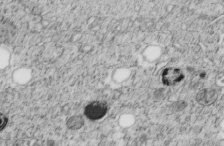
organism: C. elegans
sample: C. elegans embryo early stage